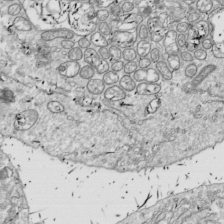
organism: Drosophila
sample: Cell division; meiosis; drosophila spermatocytes